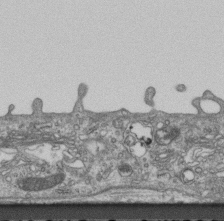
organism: Mouse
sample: Centriole in ependymal cells